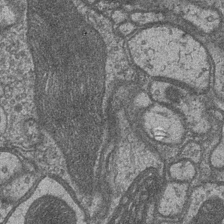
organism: Drosophila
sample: Optic medulla